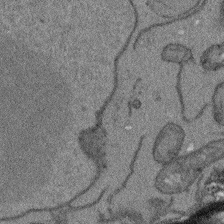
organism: Arabidopsis thaliana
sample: Root tip